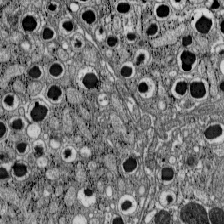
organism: C57BL Mouse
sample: Pancreatic islet